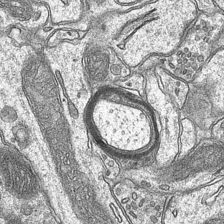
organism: Mouse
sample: CA1 Hippocampus